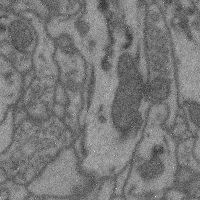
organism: Mouse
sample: Cerebral cortex